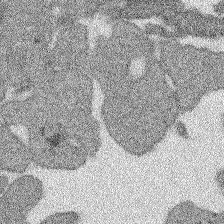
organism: Human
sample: HeLa cells